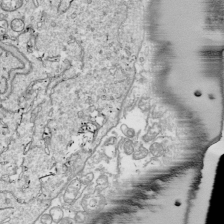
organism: Drosophila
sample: Cell division; meiosis; drosophila spermatocytes